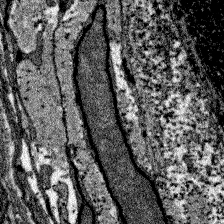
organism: Zebrafish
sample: Larval olfactory bulb